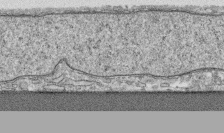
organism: Human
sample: CRL-1474